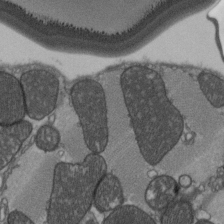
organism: C57BL Mouse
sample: Heart